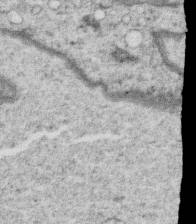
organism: C. elegans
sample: C. elegans oocyte; sperm cells